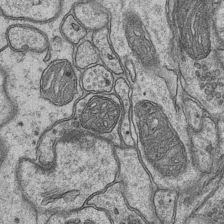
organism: Mouse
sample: CA1 Hippocampus